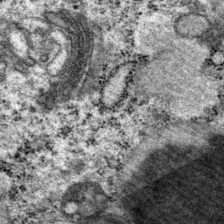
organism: P. pacificus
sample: Pharynx